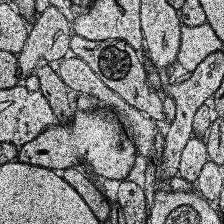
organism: Human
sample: Temporal Lobe